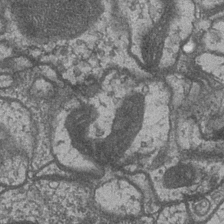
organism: Drosophila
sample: Optic medulla